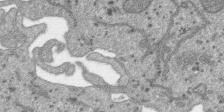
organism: Human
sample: Lung epithelial cells infected with SARS-CoV-2